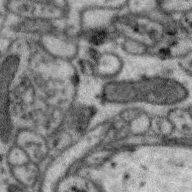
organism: Zebra finch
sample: Brain